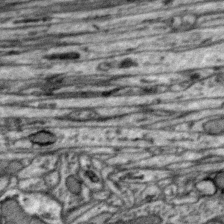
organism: Zebra finch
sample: Brain